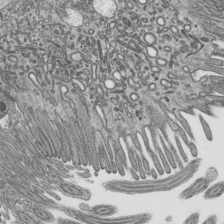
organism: Mouse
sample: Mouse epididymis efferent ductule cilia